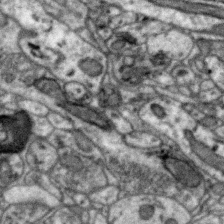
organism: Zebra finch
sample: Brain